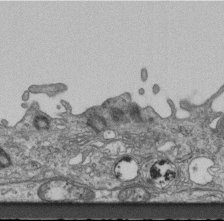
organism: Mouse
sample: Centriole in ependymal cells